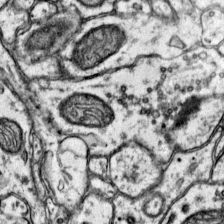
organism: Mouse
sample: Primary visual cortex